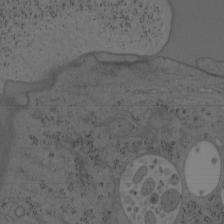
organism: Mouse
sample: OT-I killer T cells with ID8 ovarian cancer cells